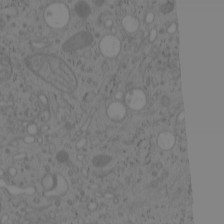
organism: Human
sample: HeLa cells